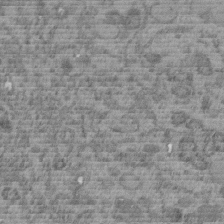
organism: C. elegans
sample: C. elegans embryo early stage